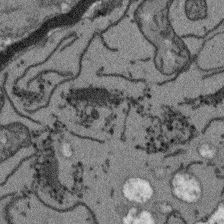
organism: Arabidopsis thaliana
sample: Root tip